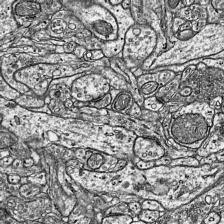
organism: Mouse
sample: Visual Cortex